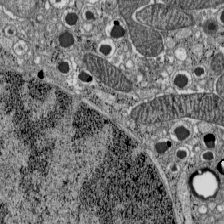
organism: C57BL Mouse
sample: Pancreatic islet